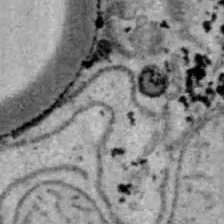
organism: Mouse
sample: Liver from an obese (ob/ob) mouse